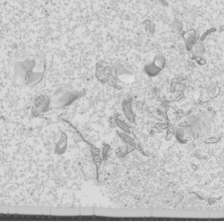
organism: Mouse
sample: Cilia; mouse epididymis